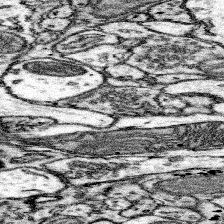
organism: Mouse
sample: Somatosensory cortex neuropil